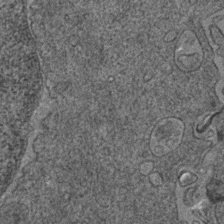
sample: Trachea